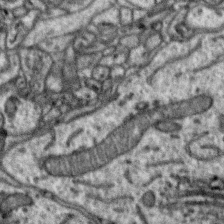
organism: Zebra finch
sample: Brain